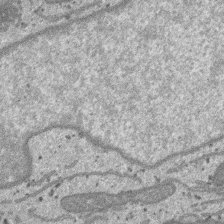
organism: Human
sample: Lung epithelial cells infected with SARS-CoV-2